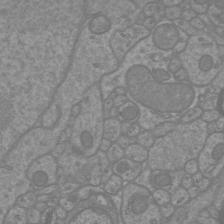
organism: Mouse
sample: Cortical neurons